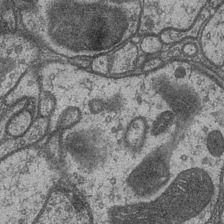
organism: Drosophila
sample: Optic medulla